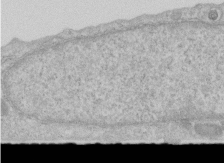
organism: Human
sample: Centriole in RPE cells